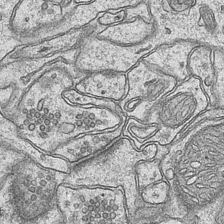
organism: Mouse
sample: CA1 Hippocampus